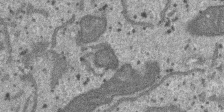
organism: Human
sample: Lung epithelial cells infected with SARS-CoV-2